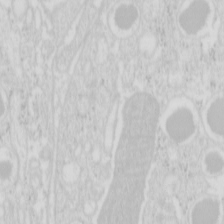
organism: Mouse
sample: Pancreas